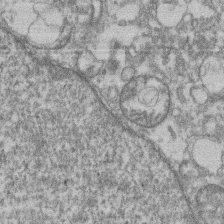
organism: Mouse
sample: T cell stromal cell synapse